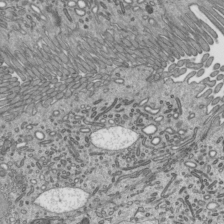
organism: Mouse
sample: Mouse epididymis efferent ductule cilia